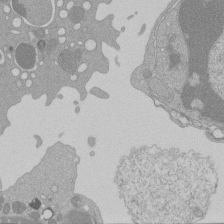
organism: Mouse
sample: Activated Pmel transgenic CD8+ T Cells